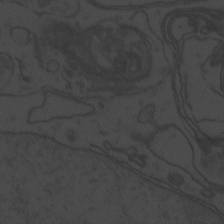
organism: Zebrafish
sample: Macrophage infected with Toxoplasma gondii